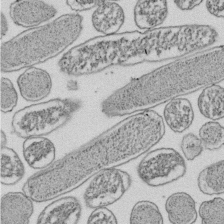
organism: E. coli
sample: Bacterial nucleoid